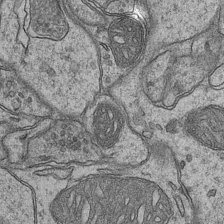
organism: Mouse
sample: CA1 Hippocampus